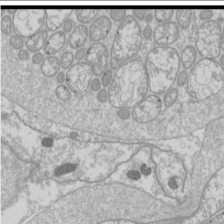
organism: Drosophila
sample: Cell division; meiosis; drosophila spermatocytes